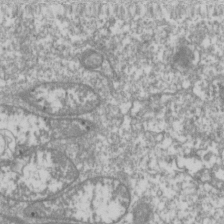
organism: Drosophila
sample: Cell division; meiosis; drosophila spermatocytes